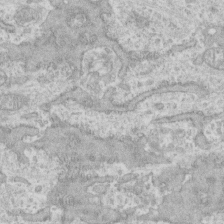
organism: Human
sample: CRL-1474